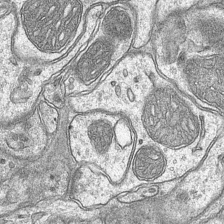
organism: Mouse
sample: CA1 Hippocampus